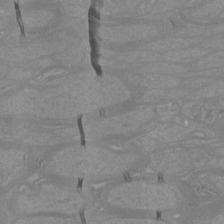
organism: Mouse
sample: Cortical neurons